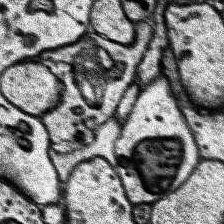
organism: Human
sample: Temporal Lobe